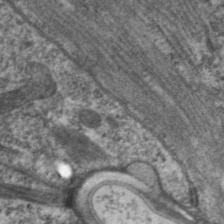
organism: C. elegans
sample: Pharynx